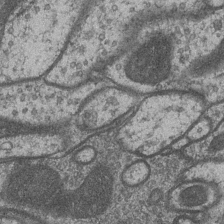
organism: Drosophila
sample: Optic medulla